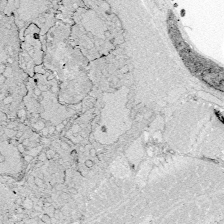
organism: Zebrafish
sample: Whole-Brain